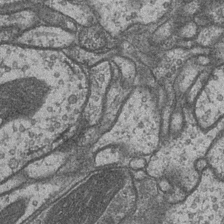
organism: Drosophila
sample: Optic medulla